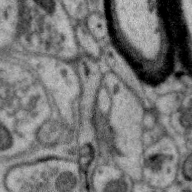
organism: Zebra finch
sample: Brain